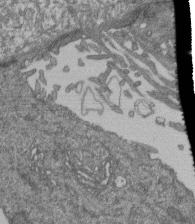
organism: Human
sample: Retinal organoid Rod and Cone cells